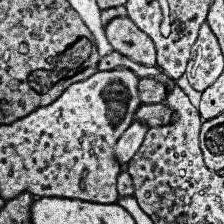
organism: Human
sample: Temporal Lobe